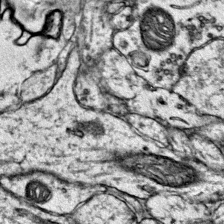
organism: Mouse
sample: Primary visual cortex